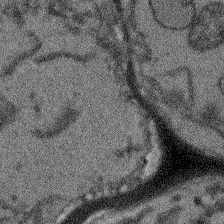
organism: Arabidopsis thaliana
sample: Root tip